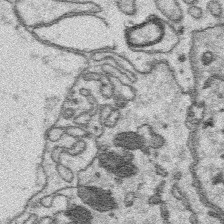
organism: Platynereis dumerilii